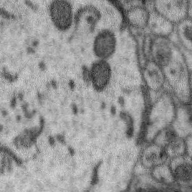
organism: Zebra finch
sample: Brain